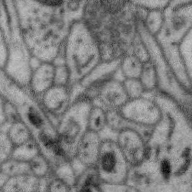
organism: Zebra finch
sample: Brain